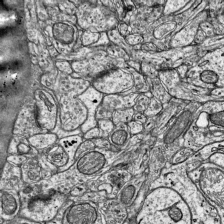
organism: Mouse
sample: Visual Cortex